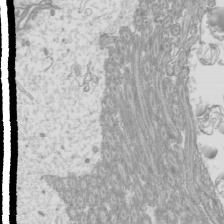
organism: Mouse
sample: Cilia; mouse epididymis